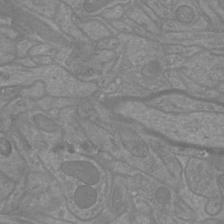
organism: Mouse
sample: Cortical neurons